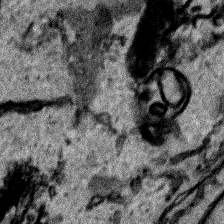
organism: Human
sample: Mitochondria in HCT116 cells